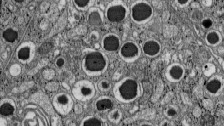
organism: C57BL Mouse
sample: Pancreatic islet